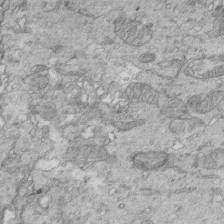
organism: Mouse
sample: Multiciliated cells